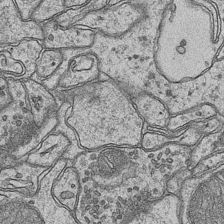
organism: Mouse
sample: CA1 Hippocampus